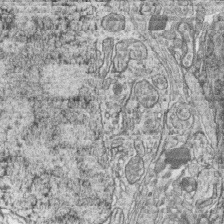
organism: Zebrafish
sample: synaptic ribbons in rod cells and cone cells